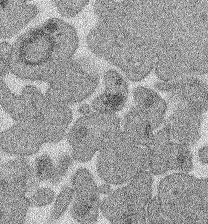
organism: Human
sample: HeLa cells